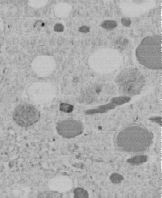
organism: C. elegans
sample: C. elegans embryo early stage